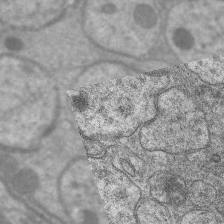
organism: C. elegans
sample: Pharynx